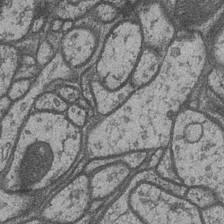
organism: Drosophila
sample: Optic medulla